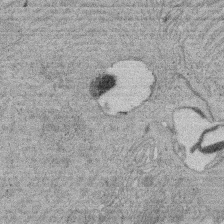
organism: Rat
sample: Salivary granule